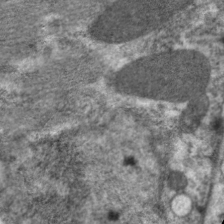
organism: C. elegans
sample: Pharynx